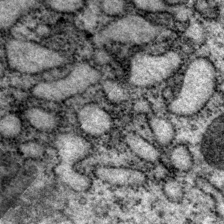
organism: P. pacificus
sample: Pharynx